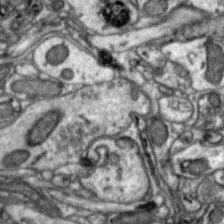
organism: Zebra finch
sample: Brain